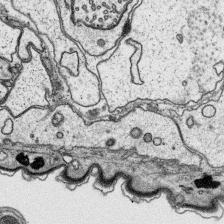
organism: Platynereis dumerilii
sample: Parapodia